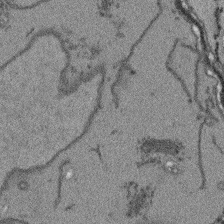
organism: Arabidopsis thaliana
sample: Root tip